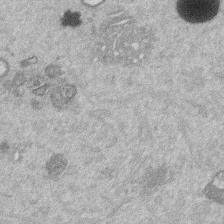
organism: Mouse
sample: Dividing mouse embryo 1 cell stage